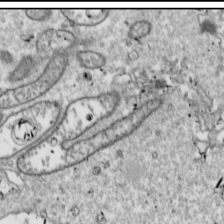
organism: Drosophila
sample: Cell division; meiosis; drosophila spermatocytes